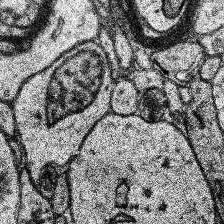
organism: Human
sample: Temporal Lobe